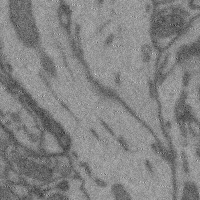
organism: Mouse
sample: Cerebral cortex